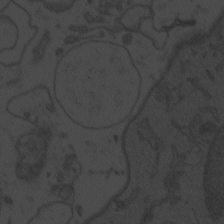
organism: Zebrafish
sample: Macrophage infected with Toxoplasma gondii